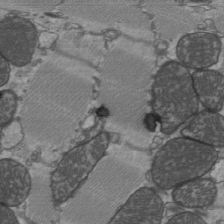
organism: C57BL Mouse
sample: Heart